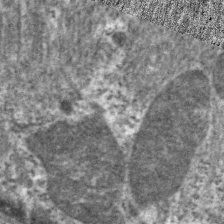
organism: C. elegans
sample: Pharynx